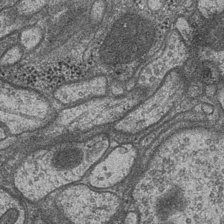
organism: Drosophila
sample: Optic medulla